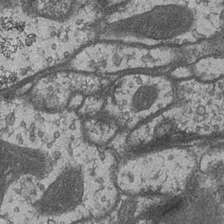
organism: Drosophila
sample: Optic medulla